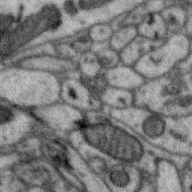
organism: Zebra finch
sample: Brain